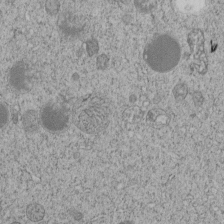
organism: C. elegans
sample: C. elegans embryo early stage